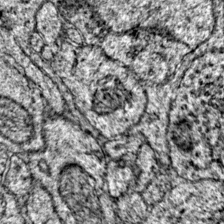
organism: Mouse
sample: Primary visual cortex